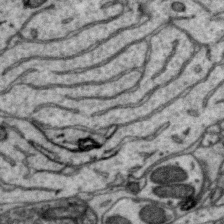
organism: Zebra finch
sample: Brain